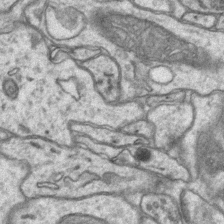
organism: Mouse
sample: CA1 Hippocampus